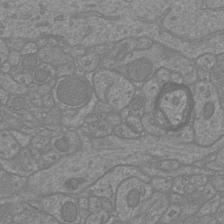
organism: Mouse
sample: Cortical neurons